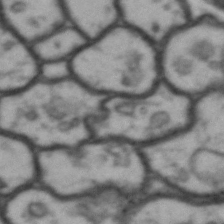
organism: Drosophila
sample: Brain